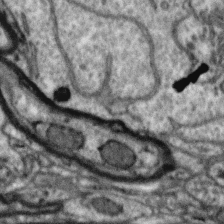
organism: Zebra finch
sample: Brain